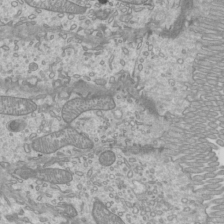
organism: Mouse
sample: Cilia; mouse epididymis